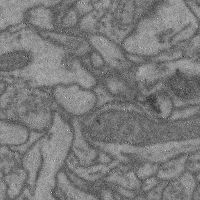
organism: Mouse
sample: Cerebral cortex